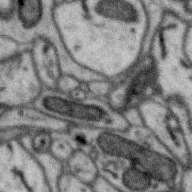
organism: Zebra finch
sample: Brain